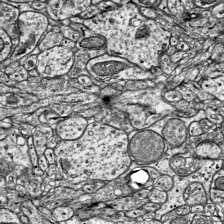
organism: Mouse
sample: Visual Cortex